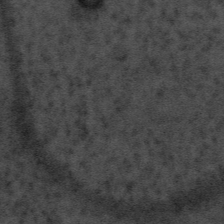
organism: Tuwongella immobilis